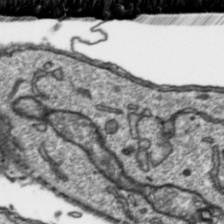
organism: Toxoplasma gondii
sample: Parasites in a vacuole inside a host cell